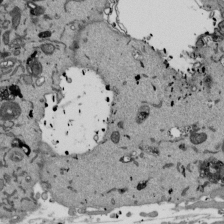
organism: Mouse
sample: ED-1 cell nuclei; centrioles